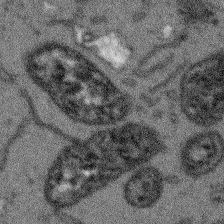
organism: Arabidopsis thaliana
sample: Root tip